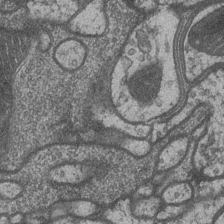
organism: Drosophila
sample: Optic medulla